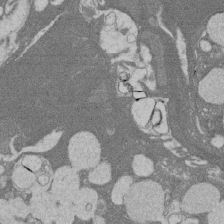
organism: Rat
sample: Salivary granule